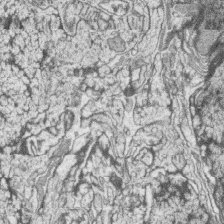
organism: Zebrafish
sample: synaptic ribbons in rod cells and cone cells